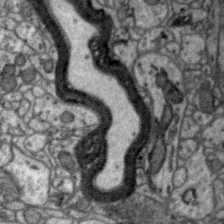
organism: Zebra finch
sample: Brain